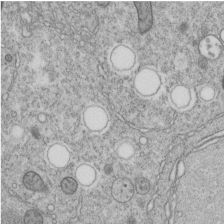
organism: C. elegans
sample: C. elegans embryo early stage